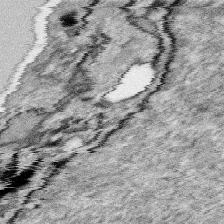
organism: Human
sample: HeLa cells